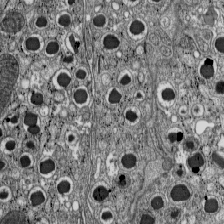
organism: C57BL Mouse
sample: Pancreatic islet